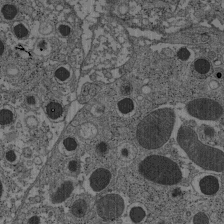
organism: C57BL Mouse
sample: Pancreatic islet